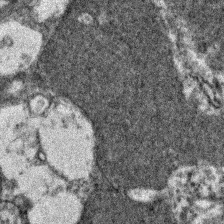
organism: Zebrafish